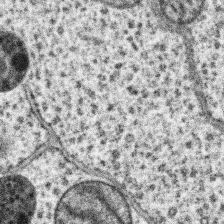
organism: Human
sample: HeLa cells